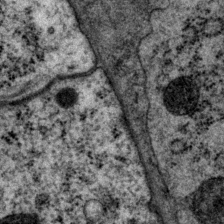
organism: P. pacificus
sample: Pharynx